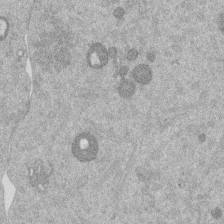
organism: Mouse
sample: Dividing mouse embryo 1 cell stage